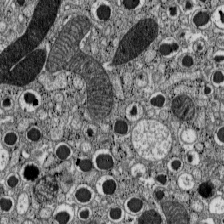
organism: C57BL Mouse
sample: Pancreatic islet